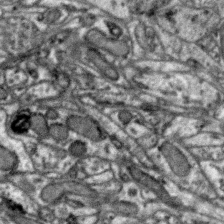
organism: Zebra finch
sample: Brain